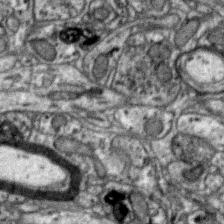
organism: Zebra finch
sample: Brain